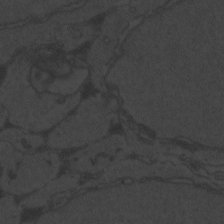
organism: Zebrafish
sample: Macrophage infected with Toxoplasma gondii